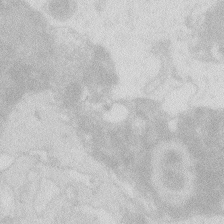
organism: Zebrafish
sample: Macrophage